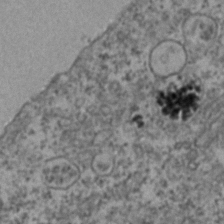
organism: Zebrafish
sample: Zebrafish embryo